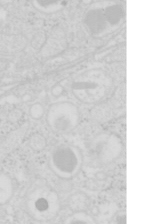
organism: Mouse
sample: Pancreas